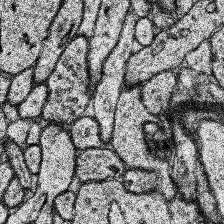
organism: Human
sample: Temporal Lobe